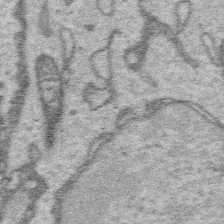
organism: Platynereis dumerilii